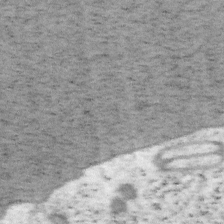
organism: Mouse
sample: OT-I killer T cells with ID8 ovarian cancer cells